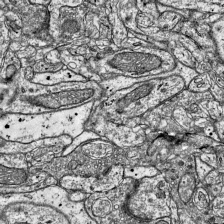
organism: Mouse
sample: Visual Cortex